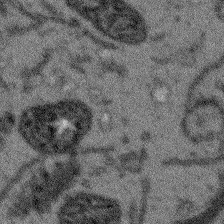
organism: Arabidopsis thaliana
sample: Root tip